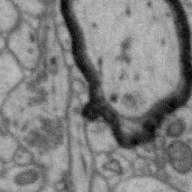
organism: Zebra finch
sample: Brain